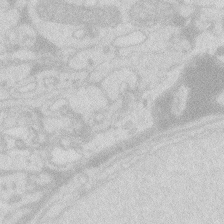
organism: Zebrafish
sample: Macrophage